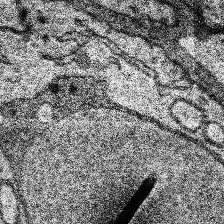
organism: Human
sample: Temporal Lobe